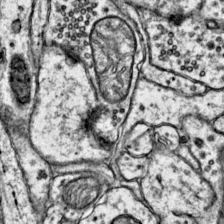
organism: Mouse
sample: Primary visual cortex